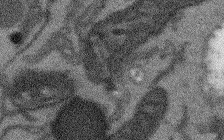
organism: Arabidopsis thaliana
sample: Root tip